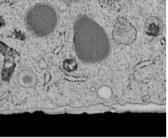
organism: C. elegans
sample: C. elegans embryo early stage